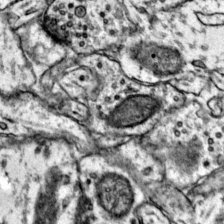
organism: Mouse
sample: Primary visual cortex